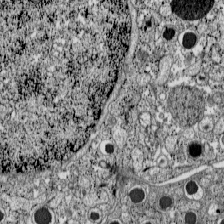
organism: C57BL Mouse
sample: Pancreatic islet